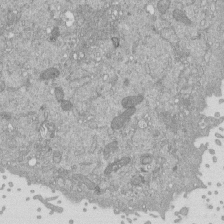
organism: Mouse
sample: ED-1 cell nuclei; centrioles